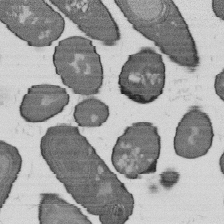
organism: B. subtilis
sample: Bacterial spore